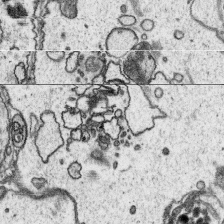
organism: Platynereis dumerilii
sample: Parapodia